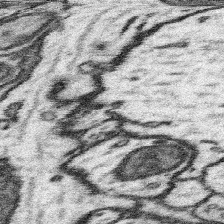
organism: Mouse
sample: Somatosensory cortex neuropil